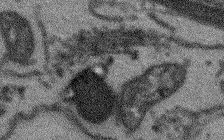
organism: Arabidopsis thaliana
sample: Root tip